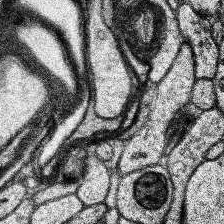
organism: Human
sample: Temporal Lobe